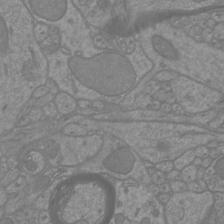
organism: Mouse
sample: Cortical neurons